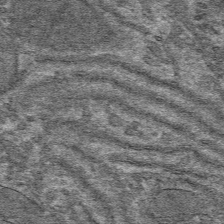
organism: Mouse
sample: Mouse hepatocytes